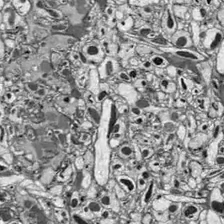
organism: Drosophila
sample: Optic lobe